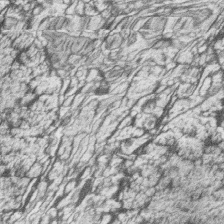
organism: Zebrafish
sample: synaptic ribbons in rod cells and cone cells